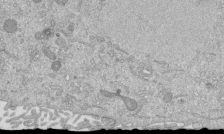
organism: Mouse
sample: ED-1 cell nuclei; centrioles